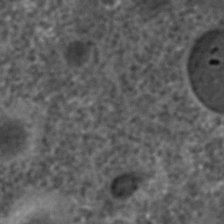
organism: C. elegans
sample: C. elegans embryo